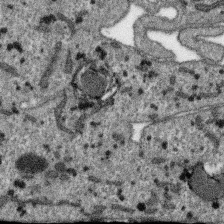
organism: Human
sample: Lung epithelial cells infected with SARS-CoV-2